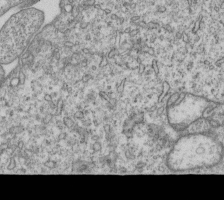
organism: Human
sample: MDA-MB-231 cells